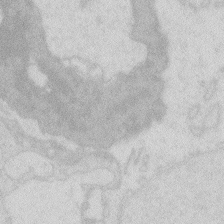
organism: Zebrafish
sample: Macrophage